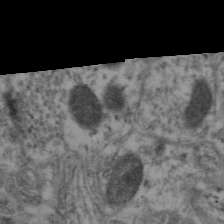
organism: Mouse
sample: Neocortex